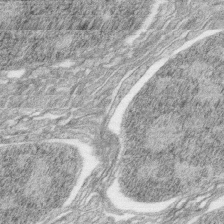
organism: Zebrafish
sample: synaptic ribbons in rod cells and cone cells